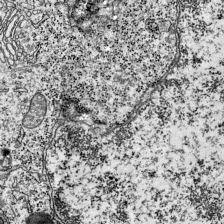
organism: Mouse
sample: Visual Cortex